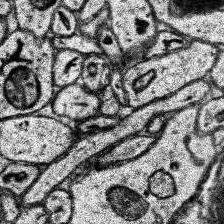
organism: Human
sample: Temporal Lobe